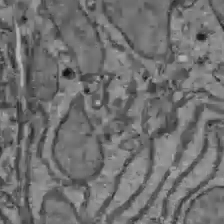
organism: C57BL Mouse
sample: Liver